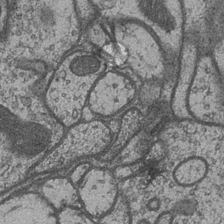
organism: Drosophila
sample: Optic medulla